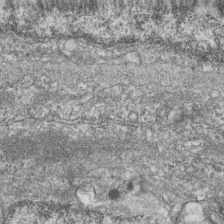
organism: Zebrafish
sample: Cilia; retinal pigment epithelium